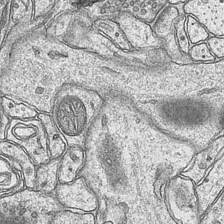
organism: Mouse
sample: CA1 Hippocampus